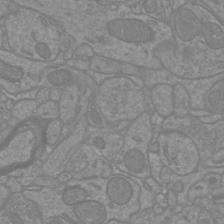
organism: Mouse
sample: Cortical neurons